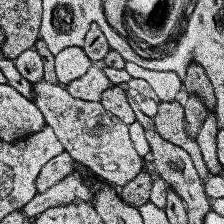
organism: Human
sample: Temporal Lobe